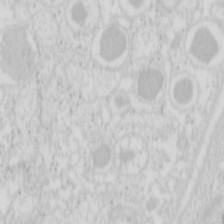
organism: Mouse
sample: Pancreas